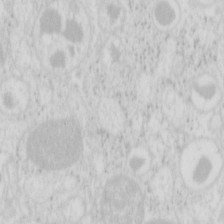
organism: Mouse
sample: Pancreas